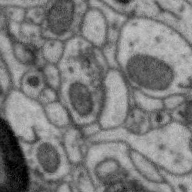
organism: Zebra finch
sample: Brain